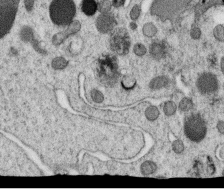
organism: C. elegans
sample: C. elegans oocyte; sperm cells